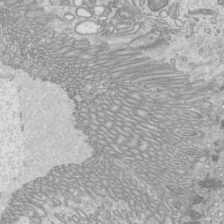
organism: Mouse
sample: Cilia; mouse epididymis